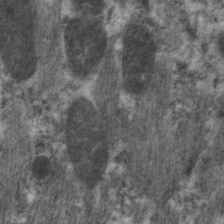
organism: C. elegans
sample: Pharynx